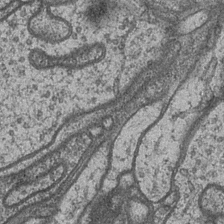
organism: Drosophila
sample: Optic medulla